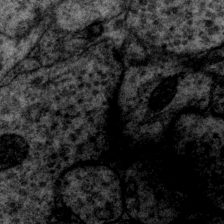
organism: P. pacificus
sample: Pharynx